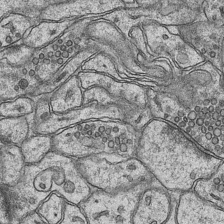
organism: Mouse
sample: CA1 Hippocampus